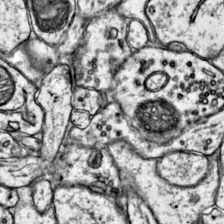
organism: Mouse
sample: Primary visual cortex